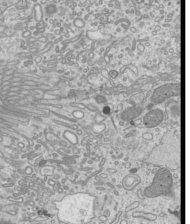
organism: Mouse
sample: Cilia; mouse epididymis